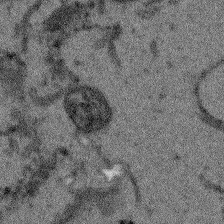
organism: Arabidopsis thaliana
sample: Root tip